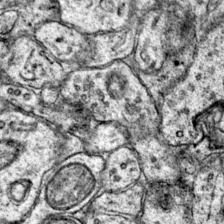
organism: Mouse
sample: Primary visual cortex